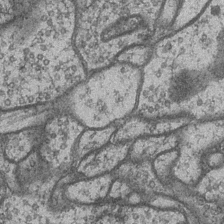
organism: Drosophila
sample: Optic medulla